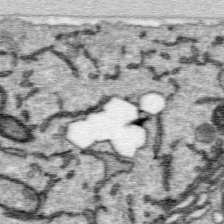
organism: Human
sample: HeLa cells